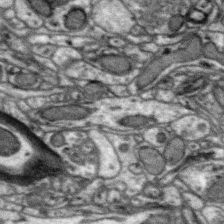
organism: Zebra finch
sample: Brain